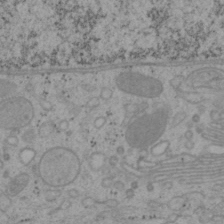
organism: Human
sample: HeLa cells